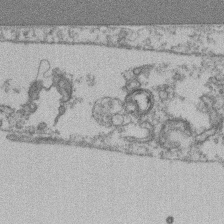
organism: Mouse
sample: T cell stromal cell synapse